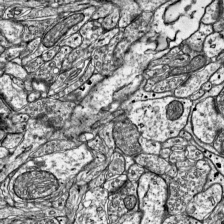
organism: Mouse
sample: Visual Cortex